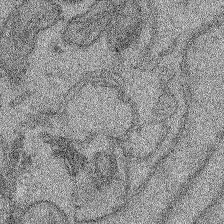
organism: Human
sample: HeLa cells